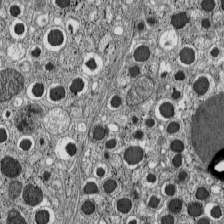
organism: C57BL Mouse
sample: Pancreatic islet